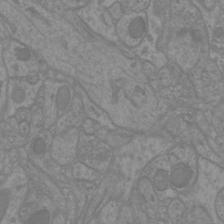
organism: Mouse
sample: Cortical neurons